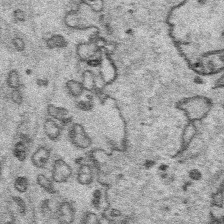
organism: Platynereis dumerilii